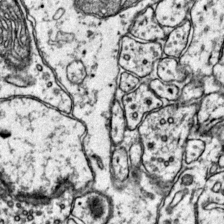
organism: Mouse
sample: Primary visual cortex